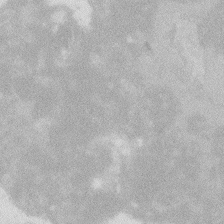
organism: Zebrafish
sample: Macrophage